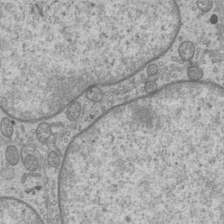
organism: Mouse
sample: Cilia; mouse epididymis